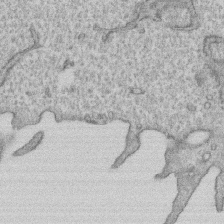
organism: Human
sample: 1205lu cells